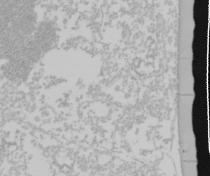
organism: Mouse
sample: Cancer cell death in ED-1 cells